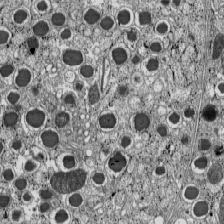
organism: C57BL Mouse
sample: Pancreatic islet